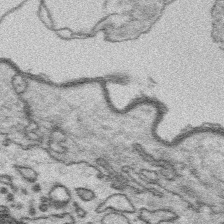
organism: Platynereis dumerilii